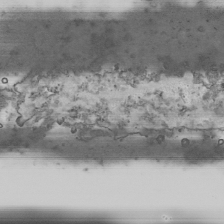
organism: Human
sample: Mitochondria in HCT116 cells